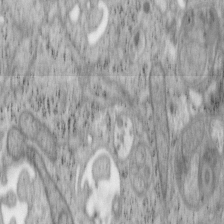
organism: Human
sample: HeLa cells